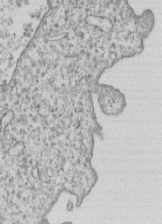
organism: Human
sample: MDA-MB-231 cells